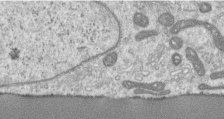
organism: Human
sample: Centriole in RPE cells